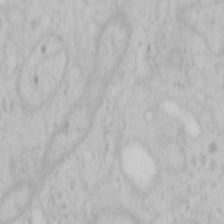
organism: Mouse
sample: OT-I killer T cells with ID8 ovarian cancer cells